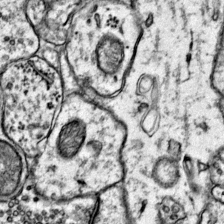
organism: Mouse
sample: Primary visual cortex